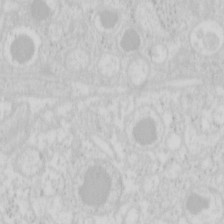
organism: Mouse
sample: Pancreas